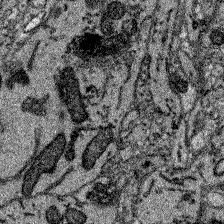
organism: Zebrafish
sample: Larval olfactory bulb